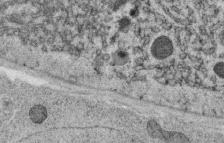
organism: C. elegans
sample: C. elegans oocyte; sperm cells